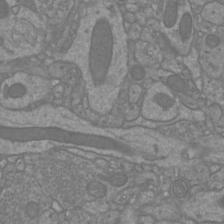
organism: Mouse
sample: Cortical neurons